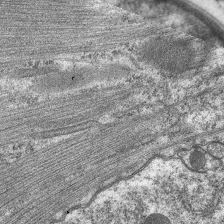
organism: C. elegans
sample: Pharynx